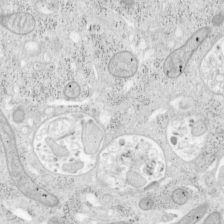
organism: Mouse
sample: OT-I killer T cells with ID8 ovarian cancer cells